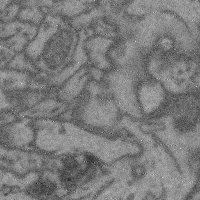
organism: Mouse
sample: Cerebral cortex